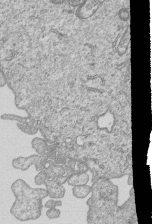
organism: Human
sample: MDA-MB-231 cells